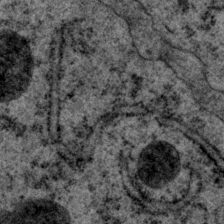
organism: P. pacificus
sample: Pharynx